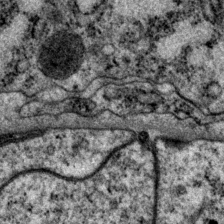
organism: P. pacificus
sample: Pharynx